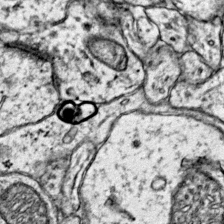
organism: Mouse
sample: Primary visual cortex